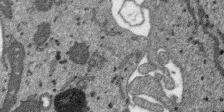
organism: Human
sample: Lung epithelial cells infected with SARS-CoV-2